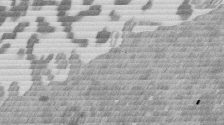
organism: Mouse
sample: Dividing mouse embryo 1 cell stage